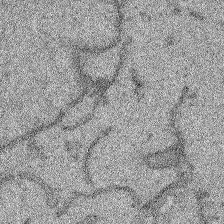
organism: Human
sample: HeLa cells